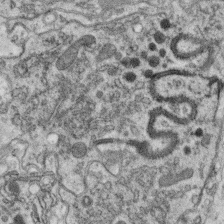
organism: C. elegans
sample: C. elegans oocyte; sperm cells